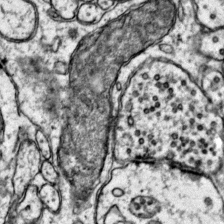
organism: Mouse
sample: Primary visual cortex